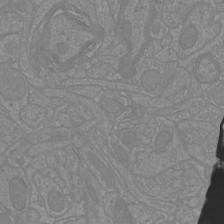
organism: Mouse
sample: Cortical neurons